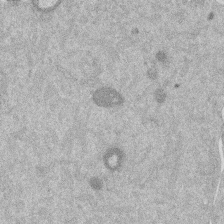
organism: Mouse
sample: Dividing mouse embryo 1 cell stage